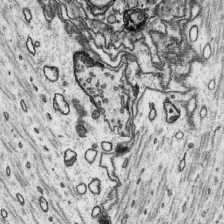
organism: Platynereis dumerilii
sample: Parapodia